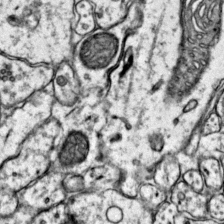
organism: Mouse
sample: Primary visual cortex